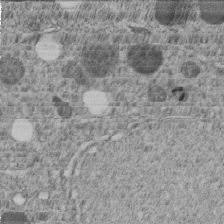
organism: C. elegans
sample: C. elegans embryo early stage